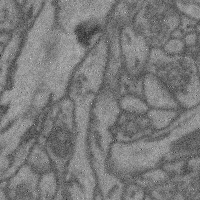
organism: Mouse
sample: Cerebral cortex